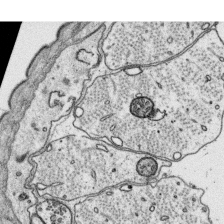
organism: Platynereis dumerilii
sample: Parapodia